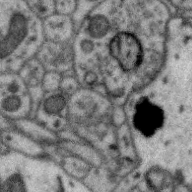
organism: Zebra finch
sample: Brain